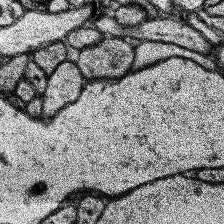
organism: Human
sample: Temporal Lobe